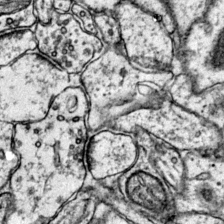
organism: Mouse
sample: Primary visual cortex